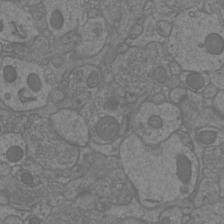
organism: Mouse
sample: Cortical neurons